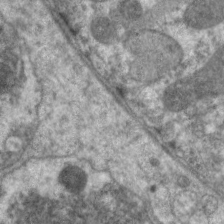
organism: C. elegans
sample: Pharynx